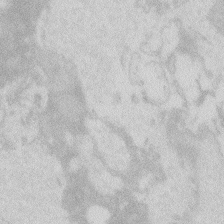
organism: Zebrafish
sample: Macrophage